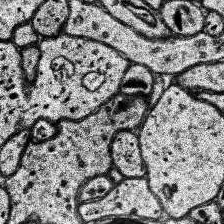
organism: Human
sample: Temporal Lobe